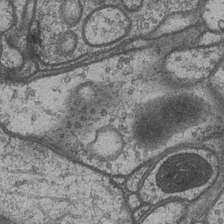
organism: Drosophila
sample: Optic medulla